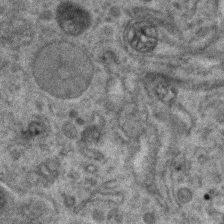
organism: Zebrafish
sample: Zebrafish embryo